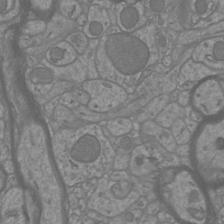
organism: Mouse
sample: Cortical neurons